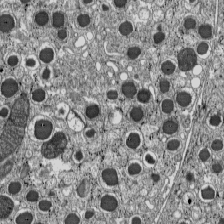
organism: C57BL Mouse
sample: Pancreatic islet